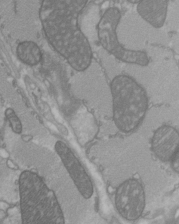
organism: C57BL Mouse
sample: Heart